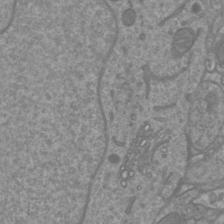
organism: Mouse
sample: Cortical neurons